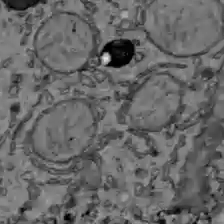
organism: C57BL Mouse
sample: Liver